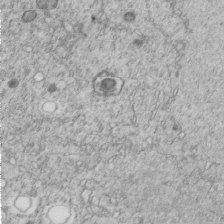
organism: C. elegans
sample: C. elegans embryo early stage